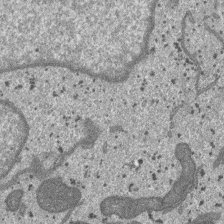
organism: Human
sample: Lung epithelial cells infected with SARS-CoV-2